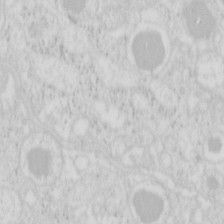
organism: Mouse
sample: Pancreas